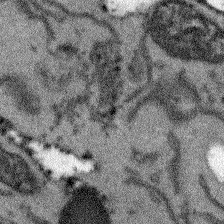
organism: Arabidopsis thaliana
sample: Root tip